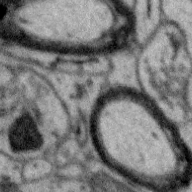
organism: Zebra finch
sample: Brain